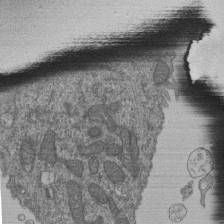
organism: Human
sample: Retinal organoid Rod and Cone cells